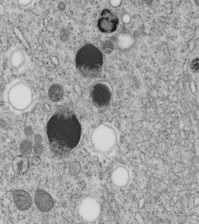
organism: C. elegans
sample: C. elegans embryo early stage